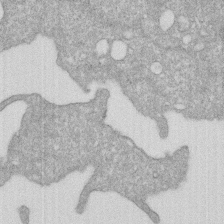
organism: Human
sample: HIV infected U937 cells